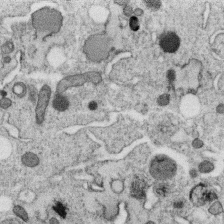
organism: C. elegans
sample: C. elegans oocyte; sperm cells